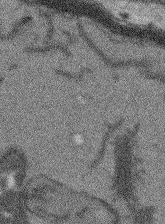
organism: Arabidopsis thaliana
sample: Root tip